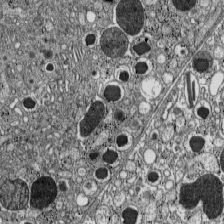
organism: C57BL Mouse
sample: Pancreatic islet